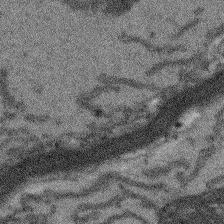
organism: Arabidopsis thaliana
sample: Root tip